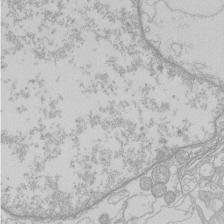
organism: Human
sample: Macrophage cells